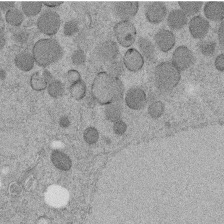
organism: C. elegans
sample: C. elegans embryo early stage